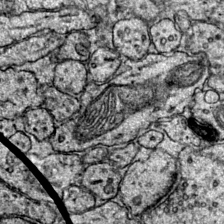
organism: Mouse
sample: Primary visual cortex